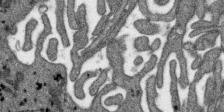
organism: Human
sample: Lung epithelial cells, uninfected (mock) control